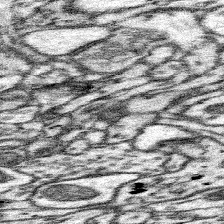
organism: Mouse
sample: Somatosensory cortex neuropil